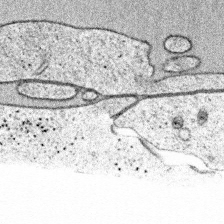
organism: Human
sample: HeLa cells